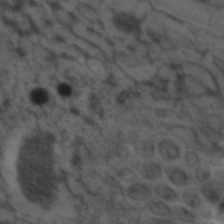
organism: C. elegans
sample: C. elegans embryo